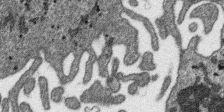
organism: Human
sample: Lung epithelial cells infected with SARS-CoV-2